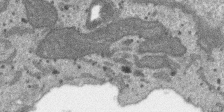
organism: Human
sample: Lung epithelial cells infected with SARS-CoV-2